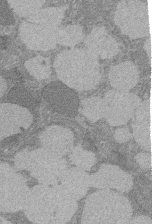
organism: Rat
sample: Salivary granule